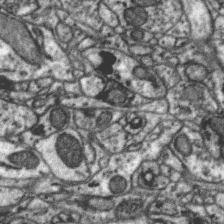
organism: Zebra finch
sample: Brain